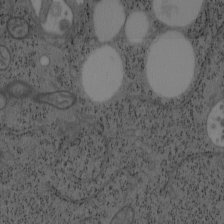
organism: Mouse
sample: OT-I killer T cells with ID8 ovarian cancer cells